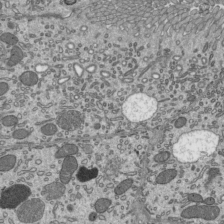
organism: Mouse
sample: Mouse epididymis efferent ductule cilia